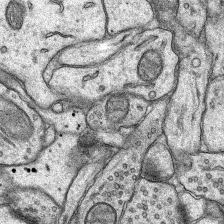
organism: Rat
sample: Hippocampus